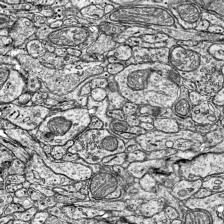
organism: Mouse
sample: Visual Cortex